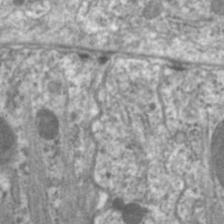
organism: C. elegans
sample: Pharynx